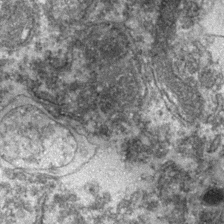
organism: Zebrafish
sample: Zebrafish embryo